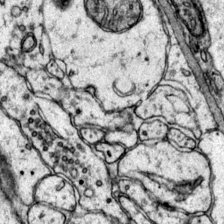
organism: Mouse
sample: Primary visual cortex